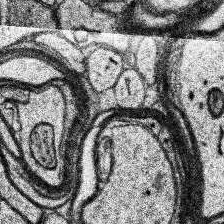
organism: Human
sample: Temporal Lobe